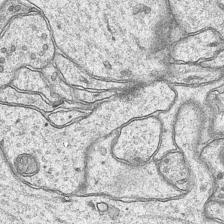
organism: Mouse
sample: CA1 Hippocampus